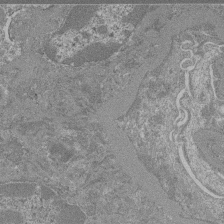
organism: Mouse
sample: Glomerulus